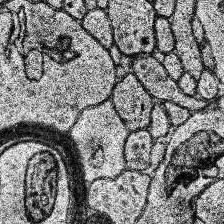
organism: Human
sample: Temporal Lobe